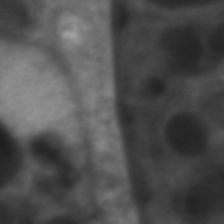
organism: C. elegans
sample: Pharynx